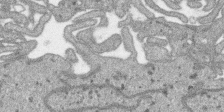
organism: Human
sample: Lung epithelial cells infected with SARS-CoV-2